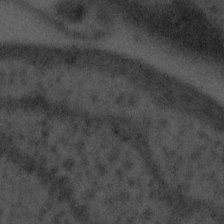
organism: Tuwongella immobilis